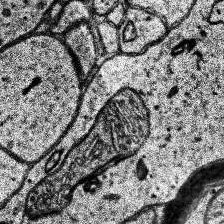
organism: Human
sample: Temporal Lobe